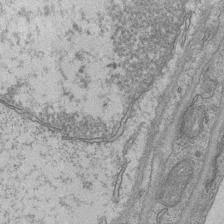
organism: Mouse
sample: CA1 Hippocampus